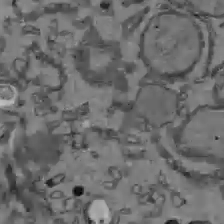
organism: C57BL Mouse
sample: Liver